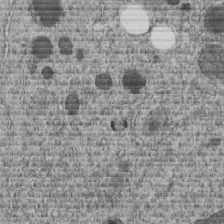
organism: C. elegans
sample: C. elegans embryo early stage